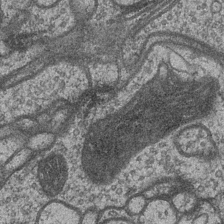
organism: Drosophila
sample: Optic medulla